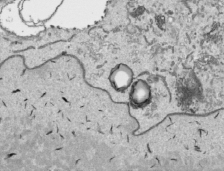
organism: Human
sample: Mitochondria in HCT116 cells